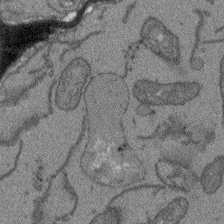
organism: Arabidopsis thaliana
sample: Root tip